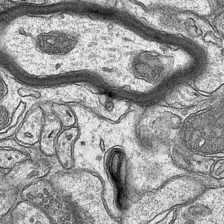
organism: Mouse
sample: CA1 Hippocampus